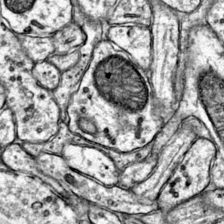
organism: Mouse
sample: Primary visual cortex